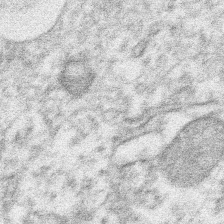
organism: Xenopus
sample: Cilia; centrioles in frog embryo cells